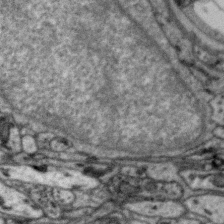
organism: Zebra finch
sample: Brain